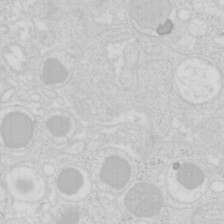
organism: Mouse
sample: Pancreas